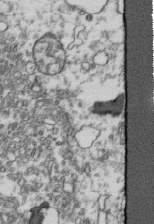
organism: Human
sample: Activated Jurkat CD4+ T cells